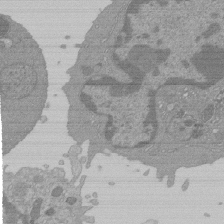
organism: Mouse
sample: Activated Pmel transgenic CD8+ T Cells